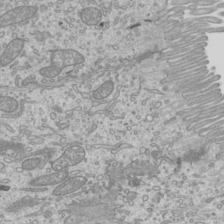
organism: Mouse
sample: Cilia; mouse epididymis